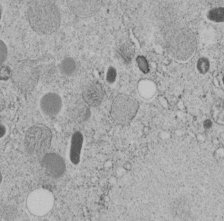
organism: C. elegans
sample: C. elegans embryo early stage